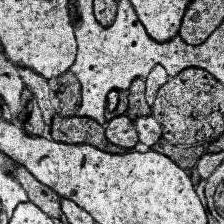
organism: Human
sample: Temporal Lobe